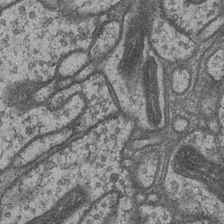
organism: Drosophila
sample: Optic medulla